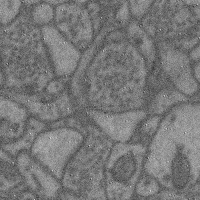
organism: Mouse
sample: Cerebral cortex